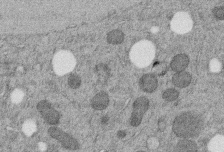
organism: C. elegans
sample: C. elegans embryo early stage